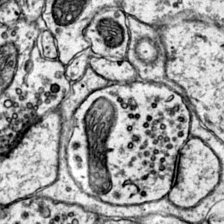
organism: Mouse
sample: Primary visual cortex